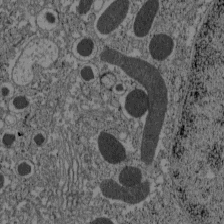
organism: C57BL Mouse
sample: Pancreatic islet